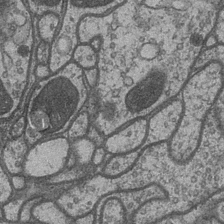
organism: Drosophila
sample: Optic medulla